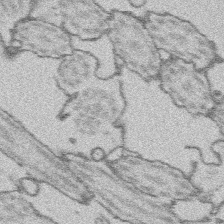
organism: Platynereis dumerilii